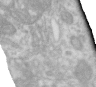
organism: Human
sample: Centriole in RPE cells